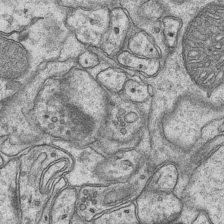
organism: Mouse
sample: CA1 Hippocampus